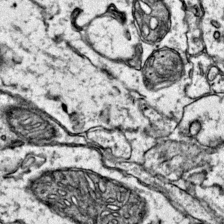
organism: Mouse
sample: Primary visual cortex